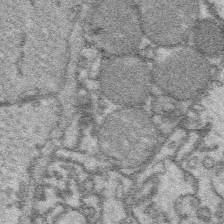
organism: Platynereis dumerilii